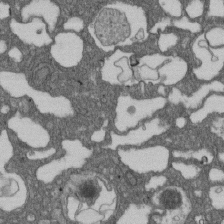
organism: Drosophila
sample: Nephrocyte